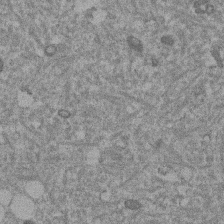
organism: Mouse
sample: Dividing mouse embryo 1 cell stage